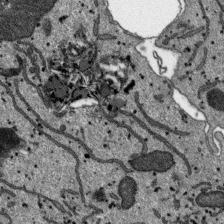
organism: Human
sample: Lung epithelial cells, uninfected (mock) control